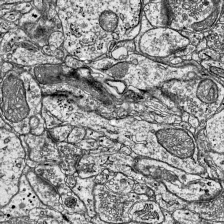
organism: Mouse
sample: Visual Cortex